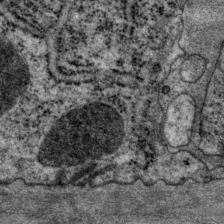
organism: P. pacificus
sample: Pharynx